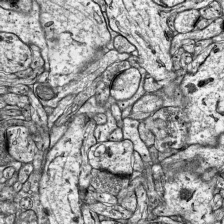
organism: Mouse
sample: Visual Cortex